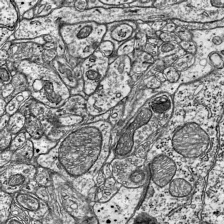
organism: Mouse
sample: Visual Cortex